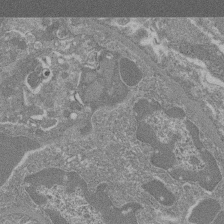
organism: Mouse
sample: Glomerulus